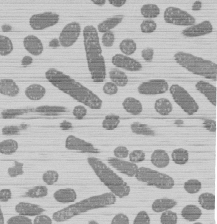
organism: E. coli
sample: Bacterial nucleoid